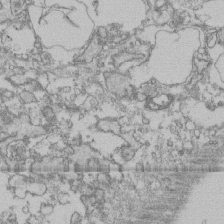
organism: Human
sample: Fibroblast cells